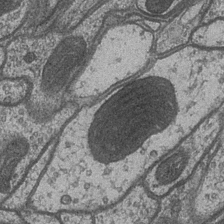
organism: Drosophila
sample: Optic medulla